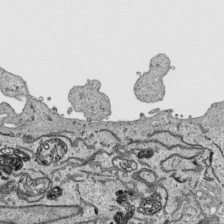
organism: Human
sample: Mitochondria in HCT116 cells